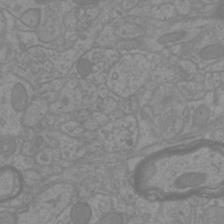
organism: Mouse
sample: Cortical neurons